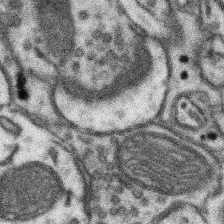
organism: Mouse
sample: Somatosensory cortex neuropil